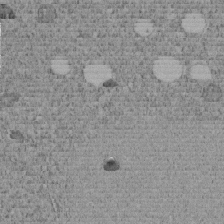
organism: C. elegans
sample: C. elegans embryo early stage